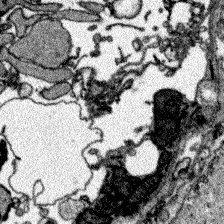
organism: Zebrafish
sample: Larval olfactory bulb